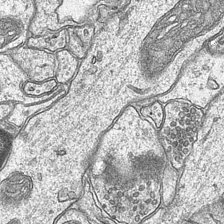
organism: Mouse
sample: CA1 Hippocampus